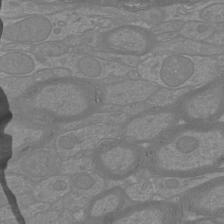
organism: Mouse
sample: Cortical neurons